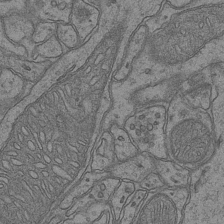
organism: Mouse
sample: CA1 Hippocampus